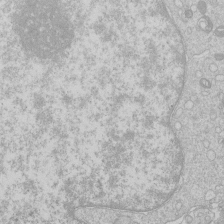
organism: Human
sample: Macrophage cells